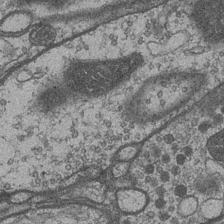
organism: Drosophila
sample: Optic medulla